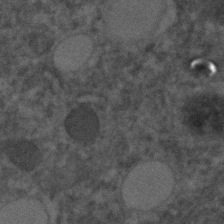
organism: C. elegans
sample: C. elegans embryo